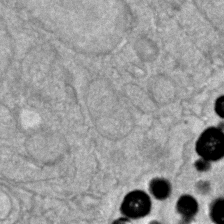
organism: Zebrafish